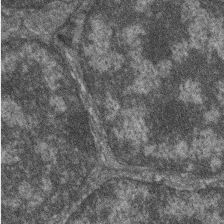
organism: Zebrafish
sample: Cilia; retinal pigment epithelium